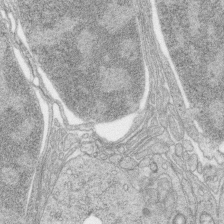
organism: Zebrafish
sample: synaptic ribbons in rod cells and cone cells